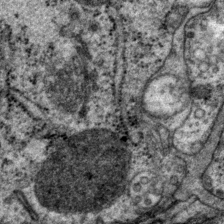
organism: P. pacificus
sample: Pharynx